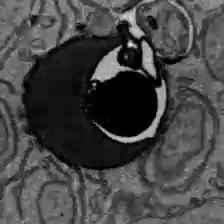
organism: C57BL Mouse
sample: Liver